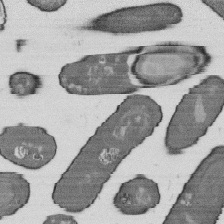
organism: B. subtilis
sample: Bacterial spore